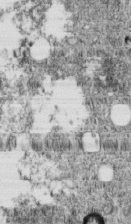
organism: C. elegans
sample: C. elegans embryo early stage